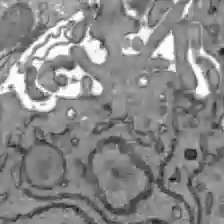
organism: C57BL Mouse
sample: Liver